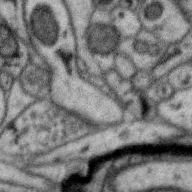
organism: Zebra finch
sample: Brain